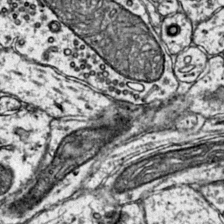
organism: Mouse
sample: Primary visual cortex